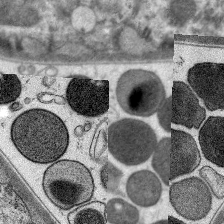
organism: C. elegans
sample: Pharynx